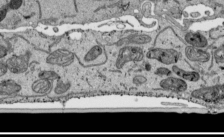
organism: Human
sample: Mitochondria in HCT116 cells